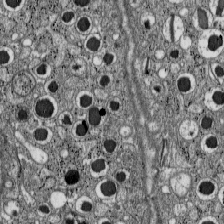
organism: C57BL Mouse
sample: Pancreatic islet